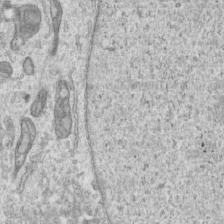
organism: Human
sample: Centriole in RPE cells